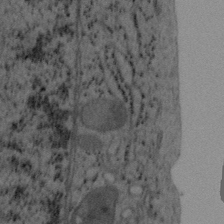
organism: Human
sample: HeLa cells